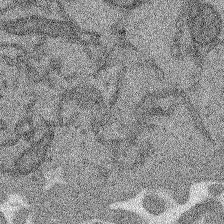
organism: Human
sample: HeLa cells